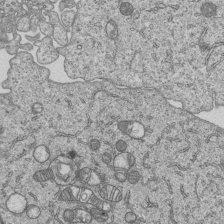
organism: Human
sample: MDA-MB-231 cells